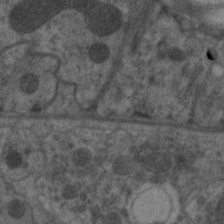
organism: C. elegans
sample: Pharynx